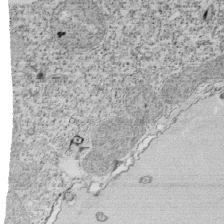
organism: Tetrahymena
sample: Cilia in tetrahymena